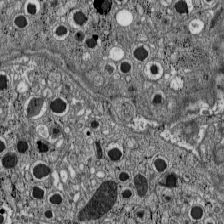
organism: C57BL Mouse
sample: Pancreatic islet